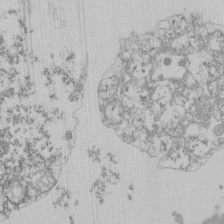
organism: Mouse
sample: Activated Pmel transgenic CD8+ T Cells